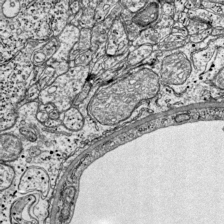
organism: Mouse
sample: Visual Cortex